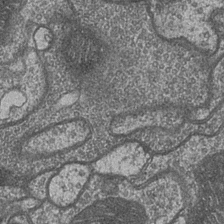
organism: Drosophila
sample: Optic medulla